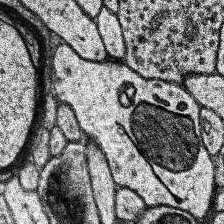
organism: Human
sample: Temporal Lobe